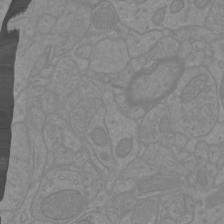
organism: Mouse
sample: Cortical neurons